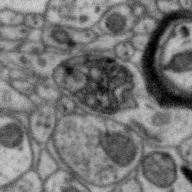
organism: Zebra finch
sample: Brain